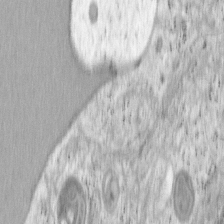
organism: Human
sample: HeLa cells